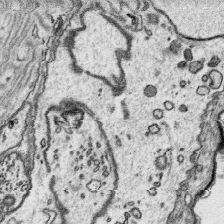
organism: Platynereis dumerilii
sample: Parapodia